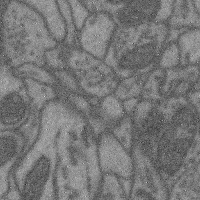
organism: Mouse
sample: Cerebral cortex